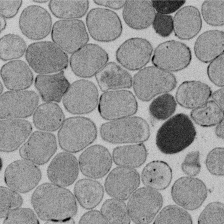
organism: E. coli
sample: Bacterial nucleoid